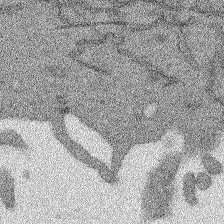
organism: Human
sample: HeLa cells